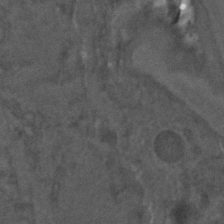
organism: C. elegans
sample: C. elegans embryo